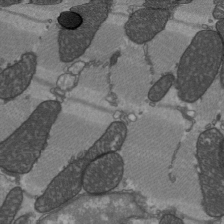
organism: C57BL Mouse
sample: Heart